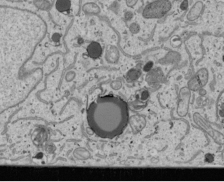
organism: Human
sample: Mitochondria in U2OS cells